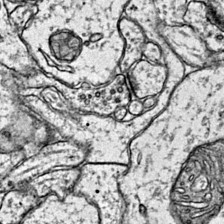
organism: Mouse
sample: Primary visual cortex